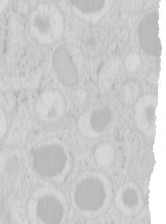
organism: Mouse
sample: Pancreas